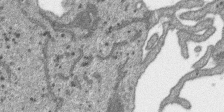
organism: Human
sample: Lung epithelial cells infected with SARS-CoV-2